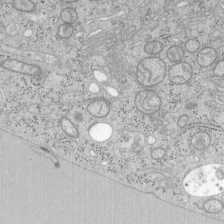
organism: Mouse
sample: OT-I killer T cells with ID8 ovarian cancer cells